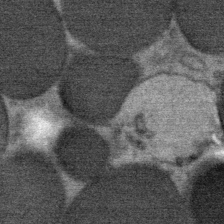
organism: Mouse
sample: Mouse Salivary gland